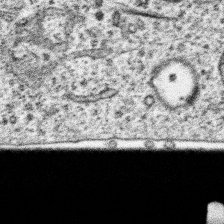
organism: Human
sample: HeLa cells